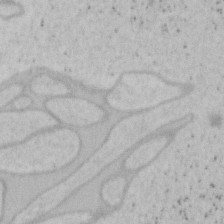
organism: Human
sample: HeLa cells